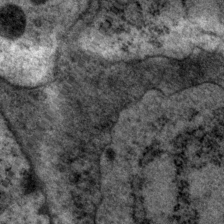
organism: P. pacificus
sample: Pharynx